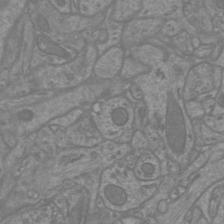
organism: Mouse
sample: Cortical neurons